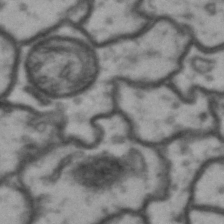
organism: Drosophila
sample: Brain